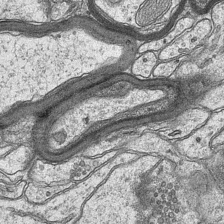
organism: Mouse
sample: CA1 Hippocampus